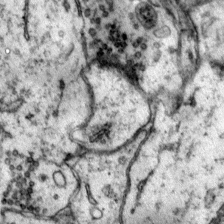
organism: Mouse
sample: Primary visual cortex